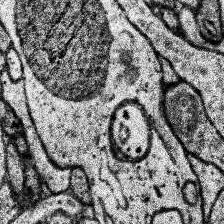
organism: Human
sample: Temporal Lobe